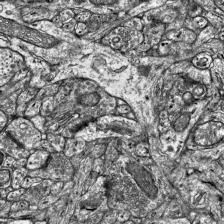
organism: Mouse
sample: Visual Cortex